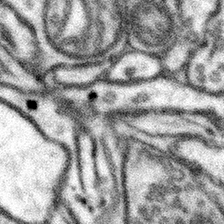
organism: Mouse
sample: Somatosensory cortex neuropil